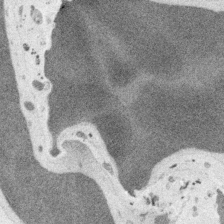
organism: Embia sp.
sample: Silk gland